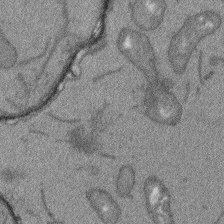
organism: Arabidopsis thaliana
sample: Root tip